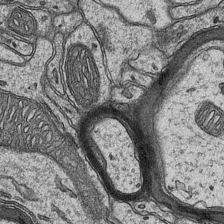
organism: Mouse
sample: CA1 Hippocampus